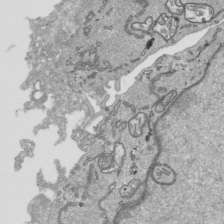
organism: Human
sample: Mitochondria in HCT116 cells